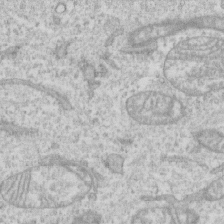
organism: Human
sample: CRL-1474